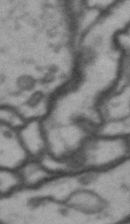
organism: Drosophila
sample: Brain